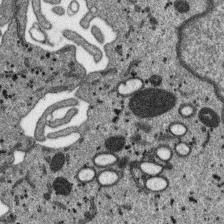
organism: Human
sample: Lung epithelial cells infected with SARS-CoV-2